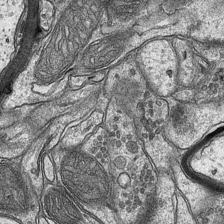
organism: Mouse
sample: CA1 Hippocampus